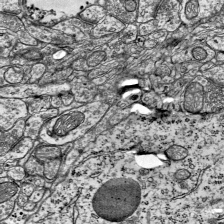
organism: Mouse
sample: Visual Cortex